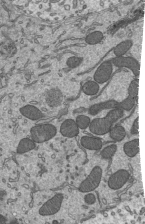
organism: Mouse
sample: Mouse epididymis efferent ductule cilia